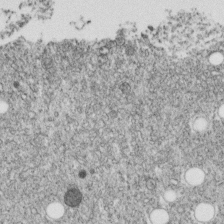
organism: C. elegans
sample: C. elegans embryo early stage